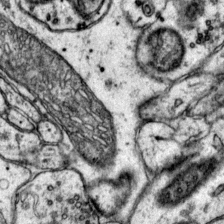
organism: Mouse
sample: Primary visual cortex